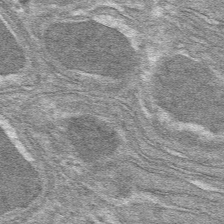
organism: Mouse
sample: Mouse hepatocytes